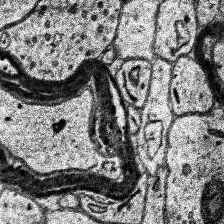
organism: Human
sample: Temporal Lobe